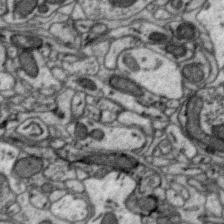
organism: Zebra finch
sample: Brain